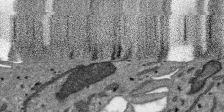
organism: Human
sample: Lung epithelial cells, uninfected (mock) control